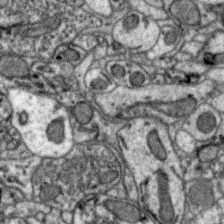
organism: Zebra finch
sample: Brain